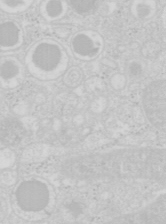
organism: Mouse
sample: Pancreas